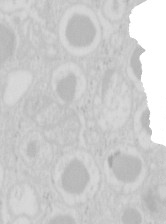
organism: Mouse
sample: Pancreas